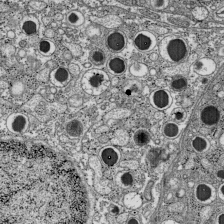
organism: C57BL Mouse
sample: Pancreatic islet